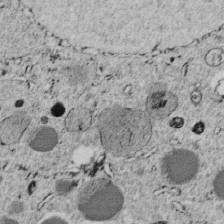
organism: C. elegans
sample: C. elegans embryo early stage